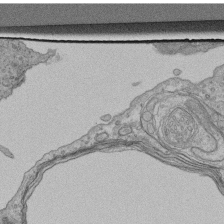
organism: Human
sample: Retinal organoid Rod and Cone cells